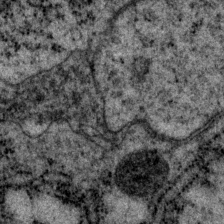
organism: P. pacificus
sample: Pharynx